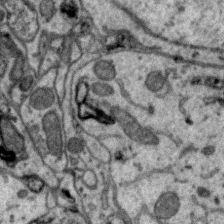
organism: Zebra finch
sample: Brain